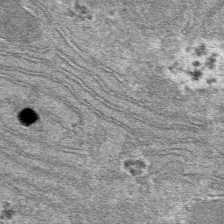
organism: Mouse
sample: Mouse hepatocytes